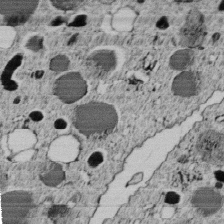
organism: C. elegans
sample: C. elegans embryo early stage